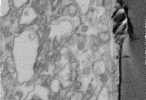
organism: Human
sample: Centriole in fibroblast cells